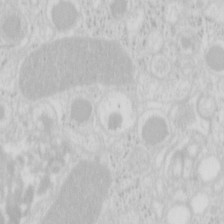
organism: Mouse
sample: Pancreas